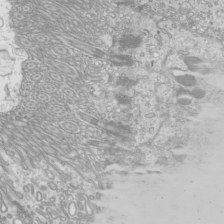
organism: Mouse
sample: Cilia; mouse epididymis